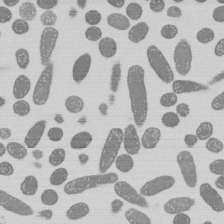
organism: E. coli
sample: Bacterial nucleoid